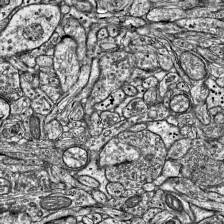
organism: Mouse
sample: Visual Cortex